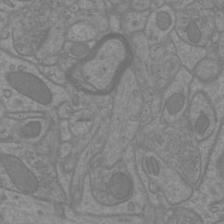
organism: Mouse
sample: Cortical neurons